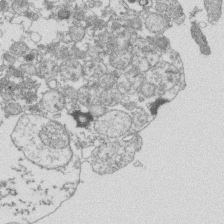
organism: Human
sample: HeLa cell HIV synapse